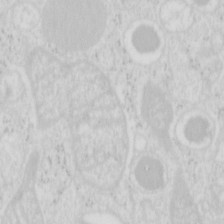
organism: Mouse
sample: Pancreas